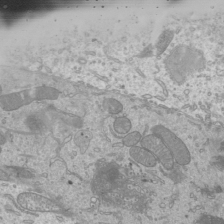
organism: Mouse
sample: Cilia; mouse epididymis